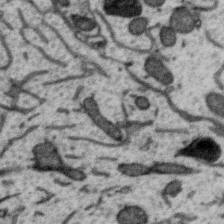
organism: Zebra finch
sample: Brain